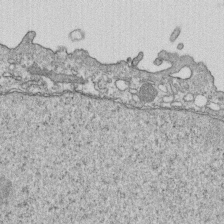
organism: Human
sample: HeLa cell HIV synapse